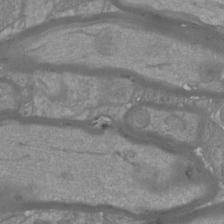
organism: Mouse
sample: Cortical neurons